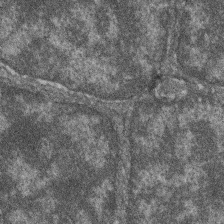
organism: Zebrafish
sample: Cilia; retinal pigment epithelium